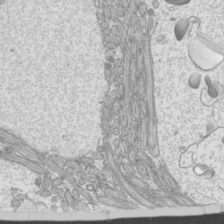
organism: Mouse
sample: Cilia; mouse epididymis